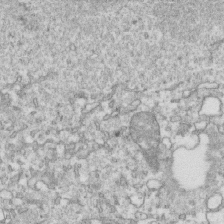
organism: Mouse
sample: Activated OT-1 CD8+ T cells